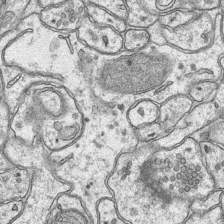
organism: Mouse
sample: CA1 Hippocampus